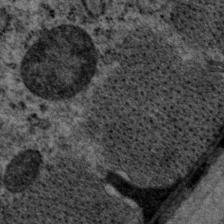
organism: P. pacificus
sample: Pharynx